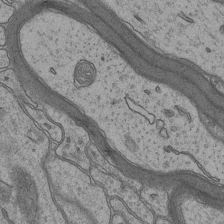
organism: Mouse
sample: CA1 Hippocampus